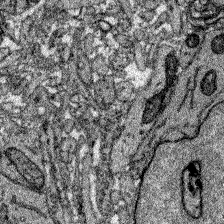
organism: Zebrafish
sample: Larval olfactory bulb